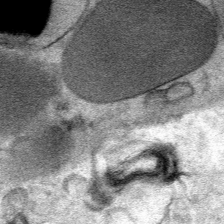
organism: Mouse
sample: Mouse Salivary gland